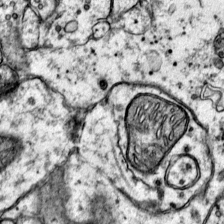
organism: Mouse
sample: Primary visual cortex